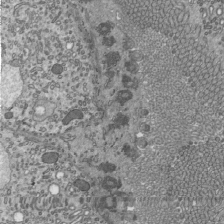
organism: Mouse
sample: Mouse epididymis efferent ductule cilia